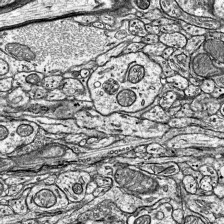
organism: Mouse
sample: Visual Cortex